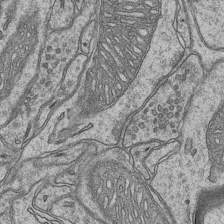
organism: Mouse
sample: CA1 Hippocampus